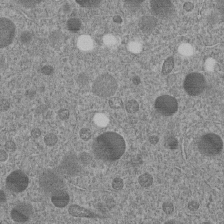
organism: C. elegans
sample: C. elegans embryo early stage